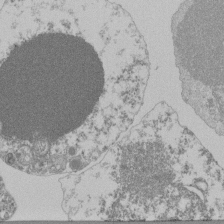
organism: Mouse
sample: Activated Pmel transgenic CD8+ T Cells